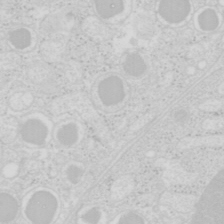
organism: Mouse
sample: Pancreas